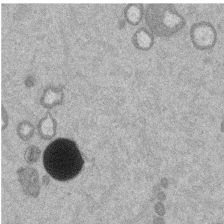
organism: Mouse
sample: Dividing mouse embryo 1 cell stage